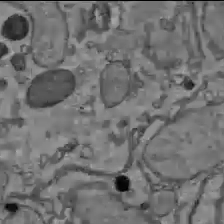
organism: C57BL Mouse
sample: Liver